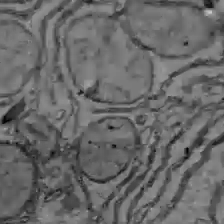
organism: C57BL Mouse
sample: Liver